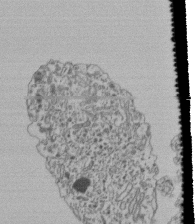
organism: Human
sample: Retinal organoid Rod and Cone cells